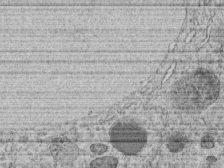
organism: C. elegans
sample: C. elegans embryo early stage